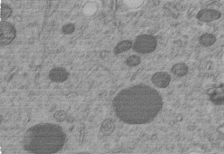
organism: C. elegans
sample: C. elegans embryo early stage